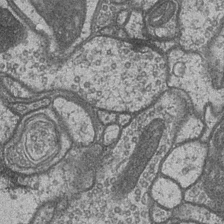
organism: Drosophila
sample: Optic medulla